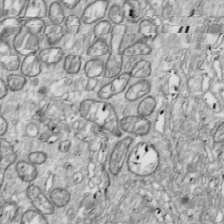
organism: Drosophila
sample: Cell division; meiosis; drosophila spermatocytes